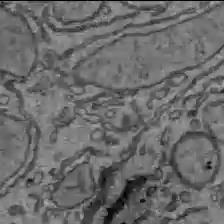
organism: C57BL Mouse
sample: Liver